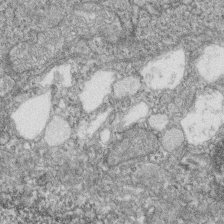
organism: Zebrafish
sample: Cilia; retinal pigment epithelium